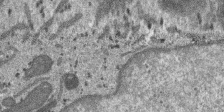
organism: Human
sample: Lung epithelial cells infected with SARS-CoV-2